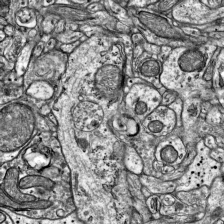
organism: Mouse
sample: Visual Cortex